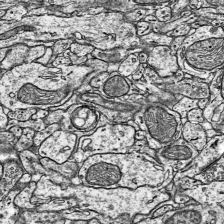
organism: Mouse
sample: Visual Cortex